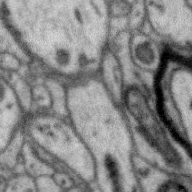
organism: Zebra finch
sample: Brain